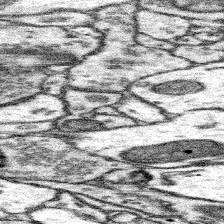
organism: Mouse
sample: Somatosensory cortex neuropil